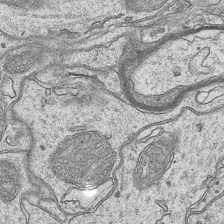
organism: Mouse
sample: CA1 Hippocampus